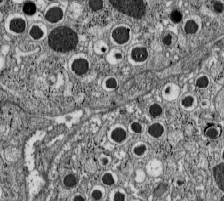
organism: C57BL Mouse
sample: Pancreatic islet